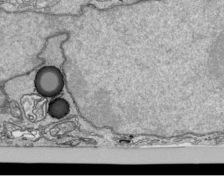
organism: Human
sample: Mitochondria in HCT116 cells